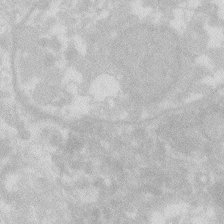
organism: Zebrafish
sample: Macrophage